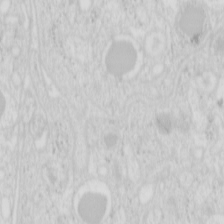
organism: Mouse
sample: Pancreas